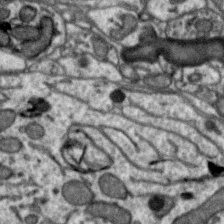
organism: Zebra finch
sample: Brain